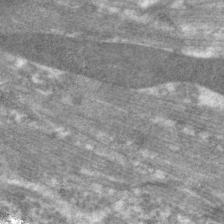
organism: C. elegans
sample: Pharynx